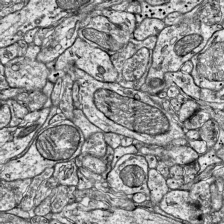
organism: Mouse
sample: Visual Cortex